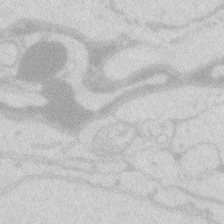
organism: Zebrafish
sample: Macrophage